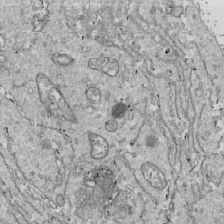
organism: Drosophila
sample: Cell division; meiosis; drosophila spermatocytes